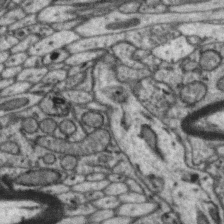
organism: Zebra finch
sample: Brain